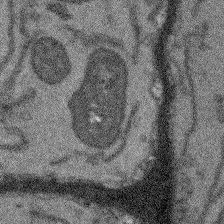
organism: Arabidopsis thaliana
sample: Root tip